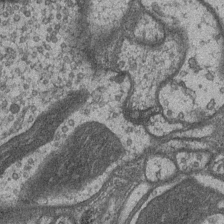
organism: Drosophila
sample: Optic medulla